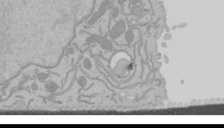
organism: Mouse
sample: Cancer cell death in ED-1 cells